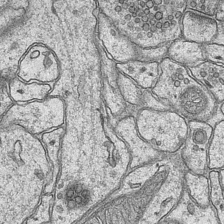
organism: Mouse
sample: CA1 Hippocampus